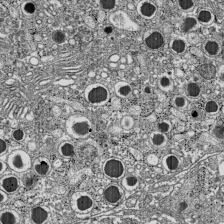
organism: C57BL Mouse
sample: Pancreatic islet